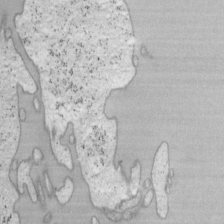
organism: Mouse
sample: OT-I killer T cells with ID8 ovarian cancer cells